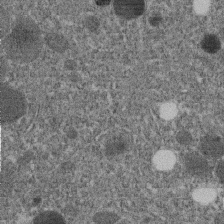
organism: C. elegans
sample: C. elegans embryo early stage